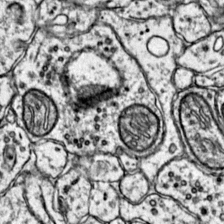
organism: Mouse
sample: Primary visual cortex